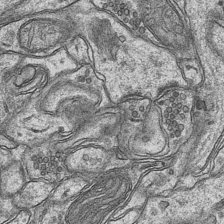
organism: Mouse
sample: CA1 Hippocampus